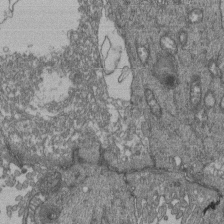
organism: Human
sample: Retinal organoid Rod and Cone cells